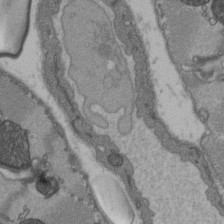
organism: C57BL Mouse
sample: Heart